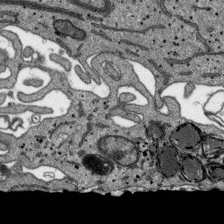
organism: Human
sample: Lung epithelial cells, uninfected (mock) control